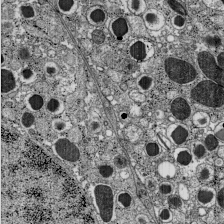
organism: C57BL Mouse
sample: Pancreatic islet